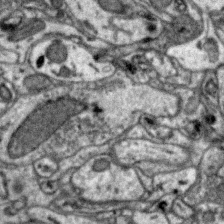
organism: Zebra finch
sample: Brain